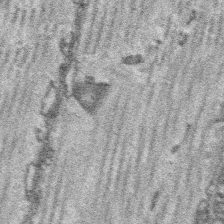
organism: Platynereis dumerilii